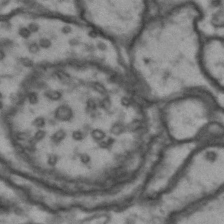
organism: Drosophila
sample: Brain